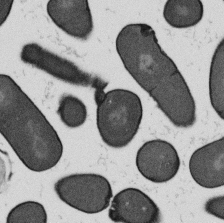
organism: B. subtilis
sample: Bacterial spore